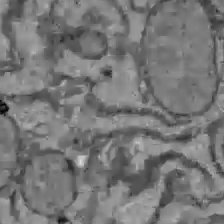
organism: C57BL Mouse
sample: Liver